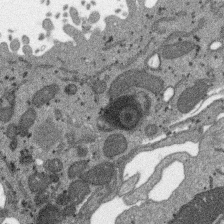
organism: Human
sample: Lung epithelial cells infected with SARS-CoV-2